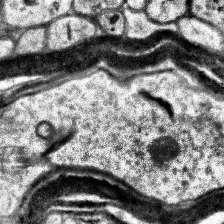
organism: Human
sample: Temporal Lobe